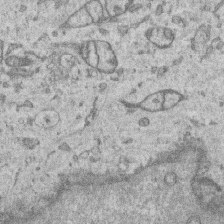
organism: Human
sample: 1205lu cells